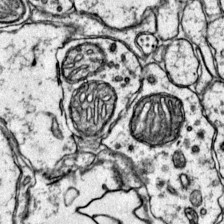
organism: Mouse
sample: Primary visual cortex